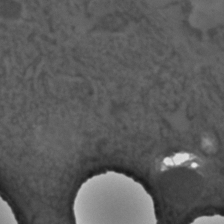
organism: C. elegans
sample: C. elegans embryo